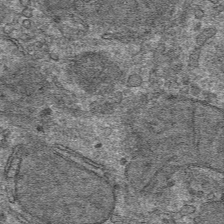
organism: Mouse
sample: Mouse hepatocytes